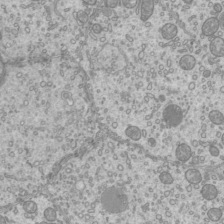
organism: Mouse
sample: Cilia; mouse epididymis